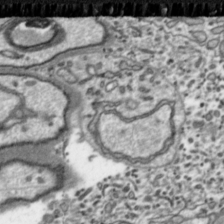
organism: Toxoplasma gondii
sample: Parasites in a vacuole inside a host cell